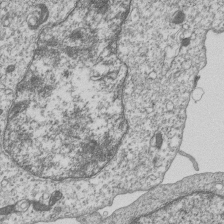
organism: Human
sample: MDA-MB-231 cells